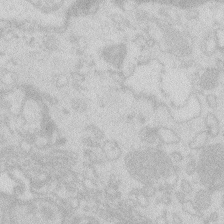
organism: Zebrafish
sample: Macrophage